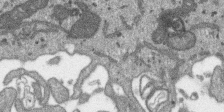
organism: Human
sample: Lung epithelial cells infected with SARS-CoV-2